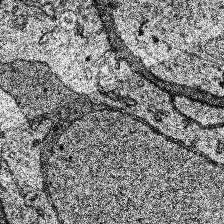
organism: Human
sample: Temporal Lobe